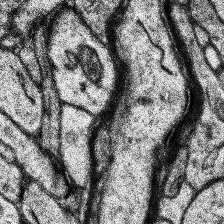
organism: Human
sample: Temporal Lobe